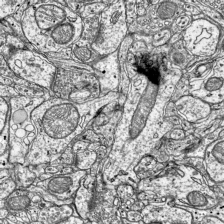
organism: Mouse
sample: Visual Cortex